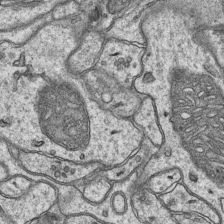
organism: Mouse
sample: CA1 Hippocampus